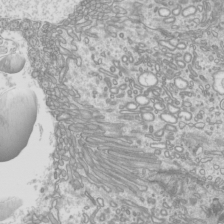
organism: Mouse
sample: Cilia; mouse epididymis